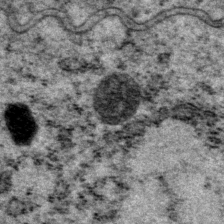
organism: P. pacificus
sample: Pharynx